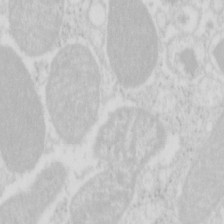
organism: Mouse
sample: Pancreas